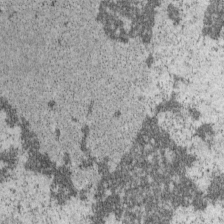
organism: Mouse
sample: OT-I killer T cells with ID8 ovarian cancer cells